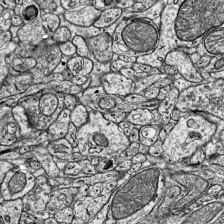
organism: Mouse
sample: Visual Cortex